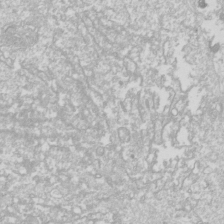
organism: Drosophila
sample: Cell division; meiosis; drosophila spermatocytes